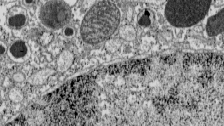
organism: C57BL Mouse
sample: Pancreatic islet